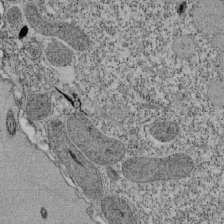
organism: Tetrahymena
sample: Cilia in tetrahymena